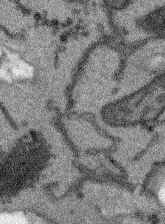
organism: Arabidopsis thaliana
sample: Root tip